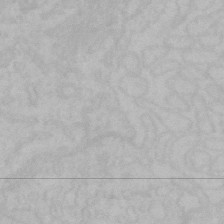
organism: Mouse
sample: Choroid plexus